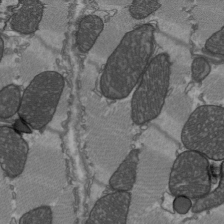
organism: C57BL Mouse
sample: Heart